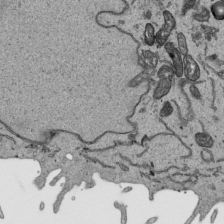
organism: Human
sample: Mitochondria in HCT116 cells